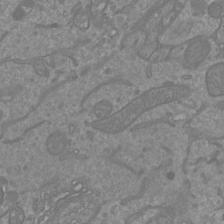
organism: Mouse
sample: Cortical neurons